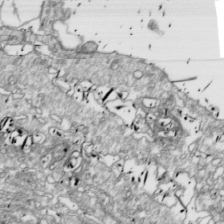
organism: Drosophila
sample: Cell division; meiosis; drosophila spermatocytes